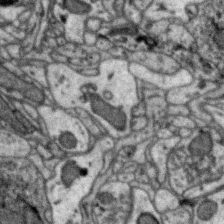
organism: Zebra finch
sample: Brain